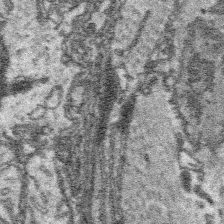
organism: Platynereis dumerilii